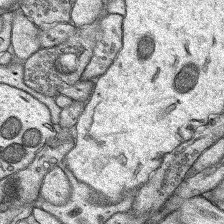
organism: Rat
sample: Hippocampus